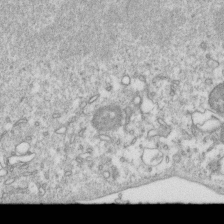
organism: Mouse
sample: Activated OT-1 CD8+ T cells